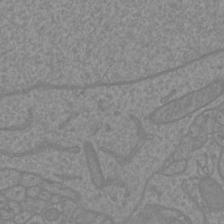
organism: Mouse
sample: Cortical neurons